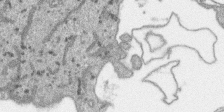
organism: Human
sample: Lung epithelial cells infected with SARS-CoV-2